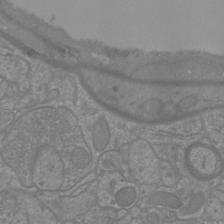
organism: Mouse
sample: Cortical neurons